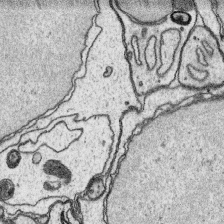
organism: Platynereis dumerilii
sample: Parapodia